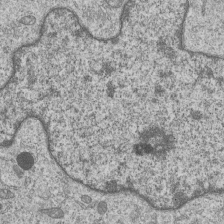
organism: Human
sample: MDA-MB-231 cells